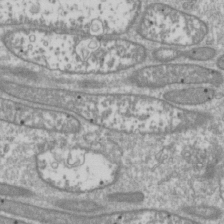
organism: Drosophila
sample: Cell division; meiosis; drosophila spermatocytes